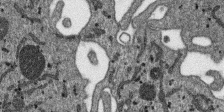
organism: Human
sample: Lung epithelial cells infected with SARS-CoV-2